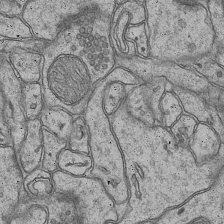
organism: Mouse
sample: CA1 Hippocampus